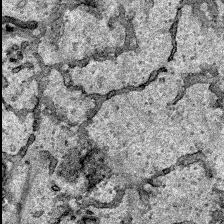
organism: Human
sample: Mitochondria in HCT116 cells